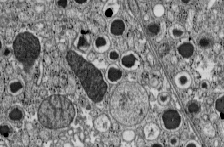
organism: C57BL Mouse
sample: Pancreatic islet